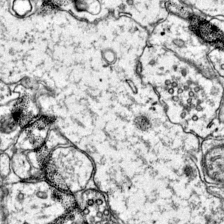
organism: Mouse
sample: Primary visual cortex